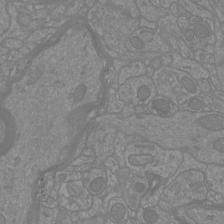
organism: Mouse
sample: Cortical neurons